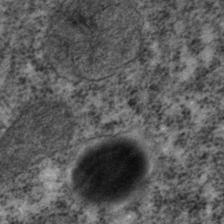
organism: C. elegans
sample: C. elegans embryo